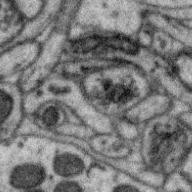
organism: Zebra finch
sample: Brain